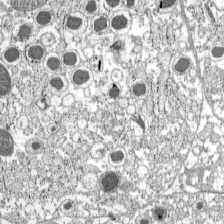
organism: C57BL Mouse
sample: Pancreatic islet